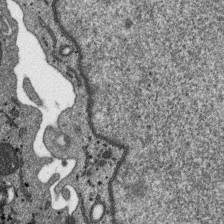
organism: Human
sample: Lung epithelial cells infected with SARS-CoV-2